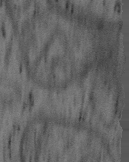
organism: Human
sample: HeLa cells